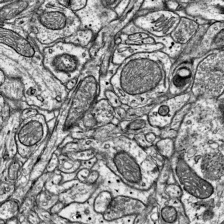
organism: Mouse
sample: Visual Cortex